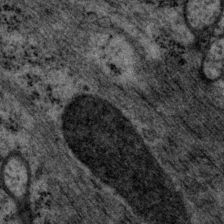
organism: P. pacificus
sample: Pharynx